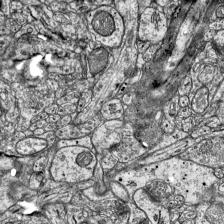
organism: Mouse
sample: Visual Cortex